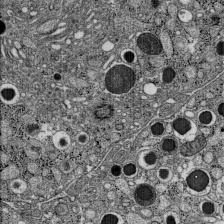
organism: C57BL Mouse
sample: Pancreatic islet